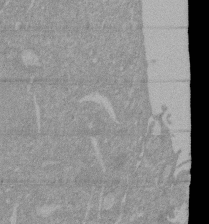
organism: Mouse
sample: ED-1 cell nuclei; centrioles